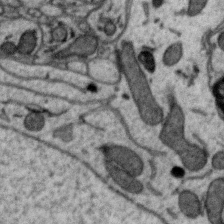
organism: Zebra finch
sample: Brain